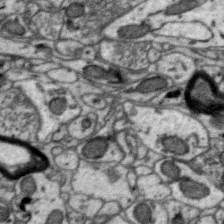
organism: Zebra finch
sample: Brain